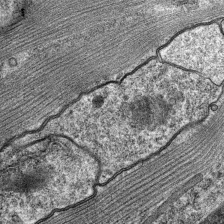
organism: C. elegans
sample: Pharynx